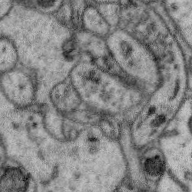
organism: Zebra finch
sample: Brain